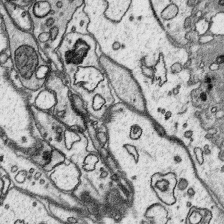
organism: Platynereis dumerilii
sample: Parapodia